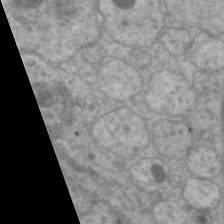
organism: C. elegans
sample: Pharynx